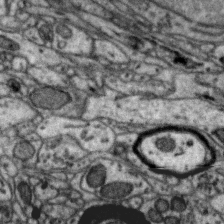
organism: Zebra finch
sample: Brain